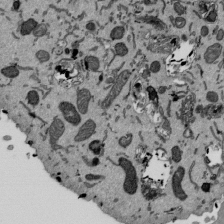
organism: Mouse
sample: ED-1 cell nuclei; centrioles